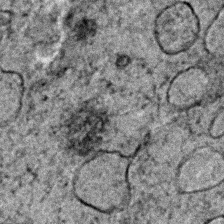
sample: Trachea